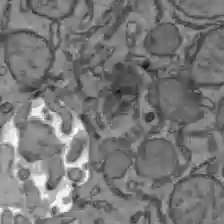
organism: C57BL Mouse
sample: Liver